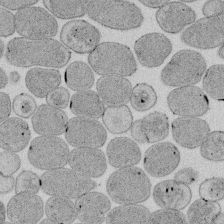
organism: E. coli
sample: Bacterial nucleoid